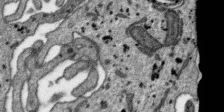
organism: Human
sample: Lung epithelial cells, uninfected (mock) control